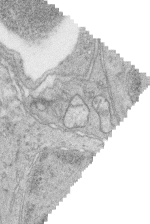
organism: Zebrafish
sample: synaptic ribbons in rod cells and cone cells